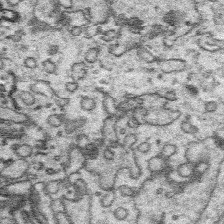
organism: Platynereis dumerilii